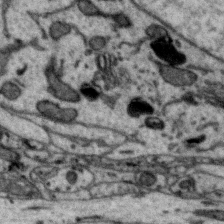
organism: Zebra finch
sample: Brain